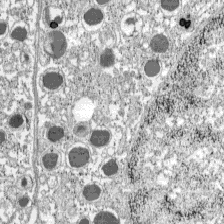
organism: C57BL Mouse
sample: Pancreatic islet